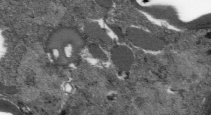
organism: Plasmodium falciparum